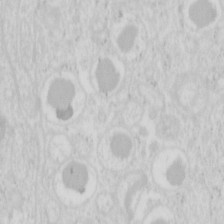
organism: Mouse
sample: Pancreas